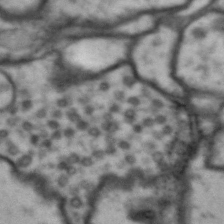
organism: Drosophila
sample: Brain